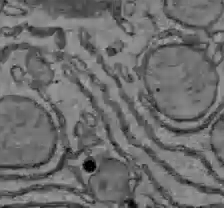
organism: C57BL Mouse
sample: Liver